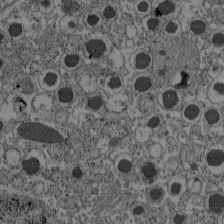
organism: C57BL Mouse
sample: Pancreatic islet